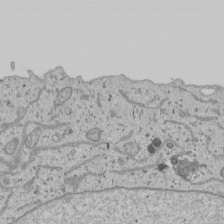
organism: Human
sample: Mitochondria in U2OS cells